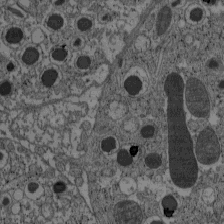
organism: C57BL Mouse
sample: Pancreatic islet